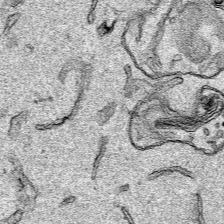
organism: Human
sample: Mitochondria in HCT116 cells